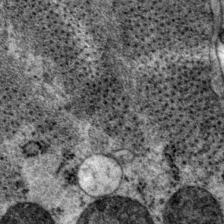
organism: P. pacificus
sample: Pharynx